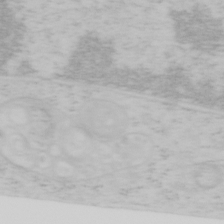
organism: Mouse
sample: OT-I killer T cells with ID8 ovarian cancer cells